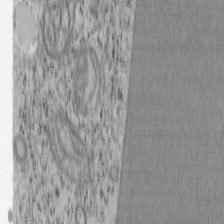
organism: Human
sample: HeLa cells